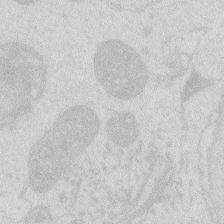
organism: Zebrafish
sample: Macrophage